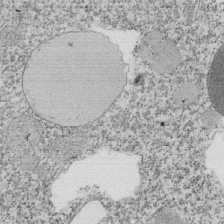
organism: Tetrahymena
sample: Cilia in tetrahymena